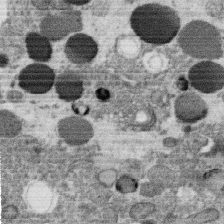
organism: C. elegans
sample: C. elegans oocyte; sperm cells